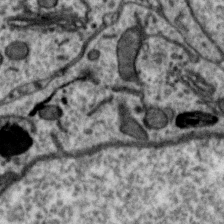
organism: Zebra finch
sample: Brain